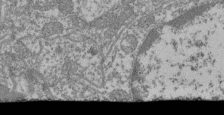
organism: Mouse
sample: Glomerulus